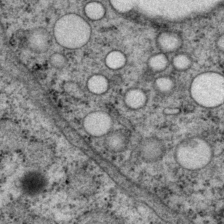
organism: P. pacificus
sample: Pharynx